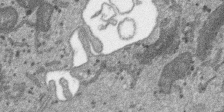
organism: Human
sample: Lung epithelial cells infected with SARS-CoV-2